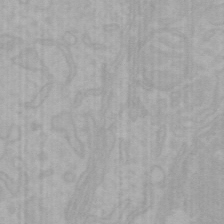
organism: Mouse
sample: Choroid plexus